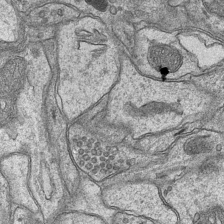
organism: Mouse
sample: CA1 Hippocampus